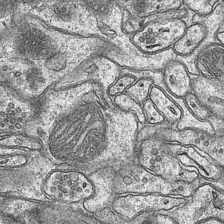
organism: Mouse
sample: CA1 Hippocampus